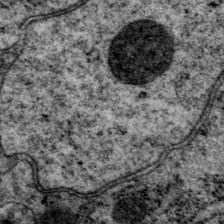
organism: P. pacificus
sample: Pharynx